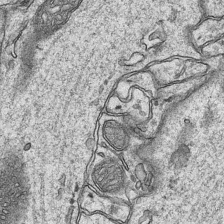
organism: Mouse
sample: CA1 Hippocampus